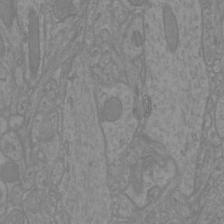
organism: Mouse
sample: Cortical neurons